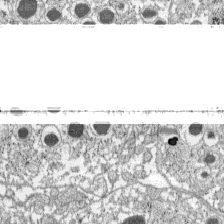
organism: C57BL Mouse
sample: Pancreatic islet